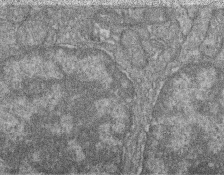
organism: Zebrafish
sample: Cilia; retinal pigment epithelium